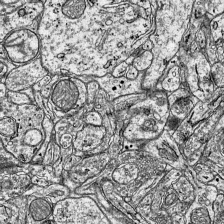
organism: Mouse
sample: Visual Cortex